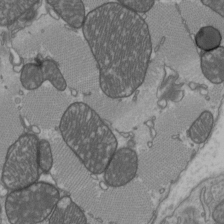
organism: C57BL Mouse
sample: Heart